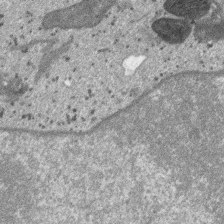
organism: Human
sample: Lung epithelial cells infected with SARS-CoV-2